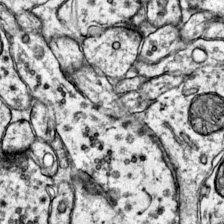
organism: Mouse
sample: Primary visual cortex